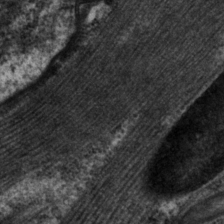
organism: P. pacificus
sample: Pharynx